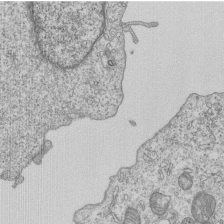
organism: Human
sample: MDA-MB-231 cells